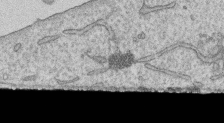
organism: Human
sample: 1205lu cells